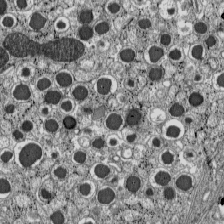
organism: C57BL Mouse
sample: Pancreatic islet